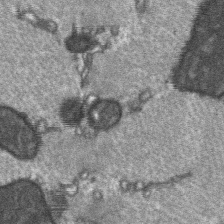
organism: C57BL Mouse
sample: Soleus